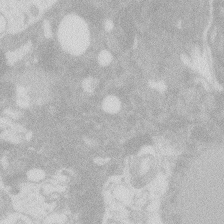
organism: Zebrafish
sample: Macrophage